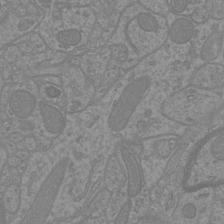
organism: Mouse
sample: Cortical neurons